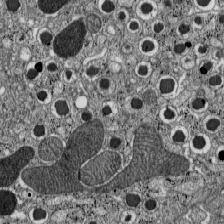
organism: C57BL Mouse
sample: Pancreatic islet